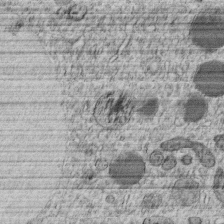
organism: C. elegans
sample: C. elegans embryo early stage